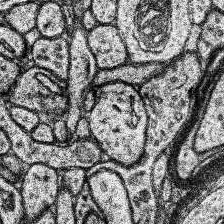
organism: Human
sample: Temporal Lobe